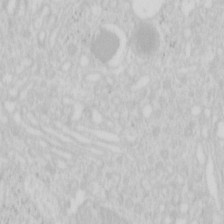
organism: Mouse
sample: Pancreas